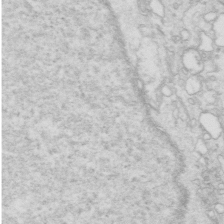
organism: Mouse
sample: Multiciliated cells